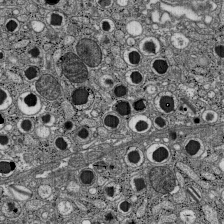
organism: C57BL Mouse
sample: Pancreatic islet